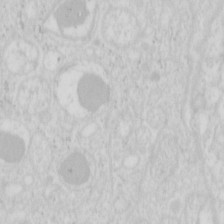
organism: Mouse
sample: Pancreas